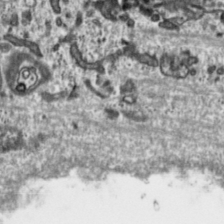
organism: Toxoplasma gondii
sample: Parasites in a vacuole inside a host cell